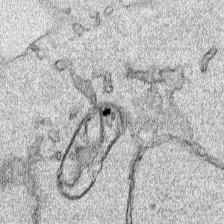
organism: Human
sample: Mitochondria in HCT116 cells